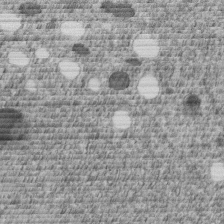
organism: C. elegans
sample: C. elegans embryo early stage